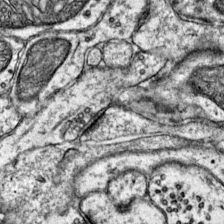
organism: Mouse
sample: Primary visual cortex